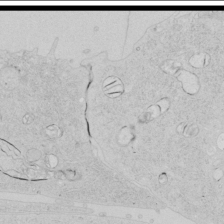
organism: Human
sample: Mitochondria in HCT116 cells